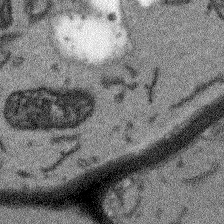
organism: Arabidopsis thaliana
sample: Root tip